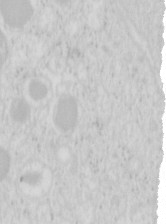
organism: Mouse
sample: Pancreas